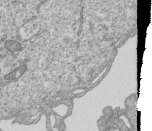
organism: Human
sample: MDA-MB-231 cells